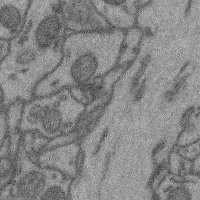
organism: Mouse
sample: Cerebral cortex